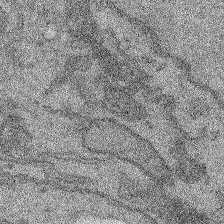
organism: Human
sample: HeLa cells